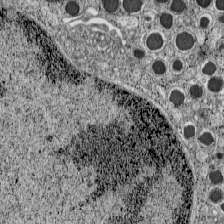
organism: C57BL Mouse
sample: Pancreatic islet